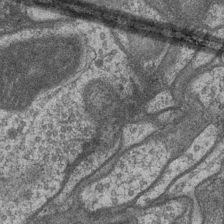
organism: Drosophila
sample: Optic medulla